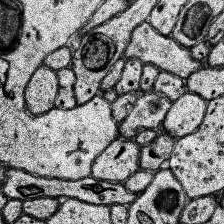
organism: Human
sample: Temporal Lobe